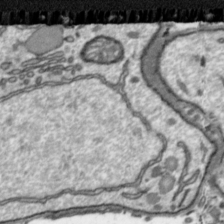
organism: Toxoplasma gondii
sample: Parasites in a vacuole inside a host cell